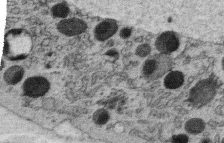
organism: C. elegans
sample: C. elegans oocyte; sperm cells